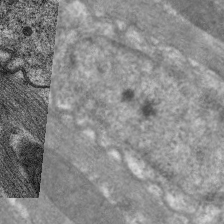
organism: C. elegans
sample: Pharynx